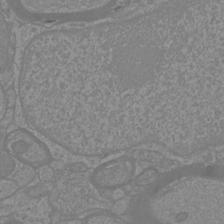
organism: Mouse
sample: Cortical neurons